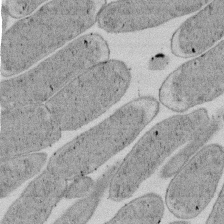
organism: E. coli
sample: Bacterial nucleoid